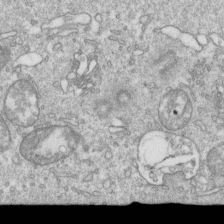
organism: Mouse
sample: Activated OT-1 CD8+ T cells